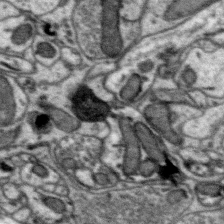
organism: Zebra finch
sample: Brain